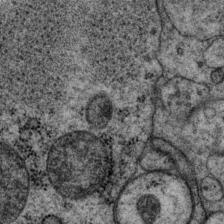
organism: P. pacificus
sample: Pharynx